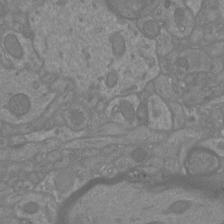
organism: Mouse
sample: Cortical neurons